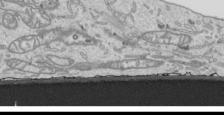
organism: Human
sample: Mitochondria in HCT116 cells